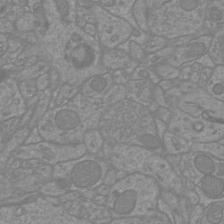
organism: Mouse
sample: Cortical neurons